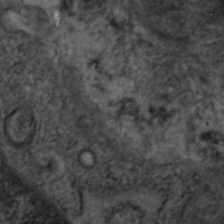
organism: Human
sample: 1205lu cells